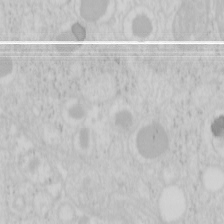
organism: Mouse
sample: Pancreas